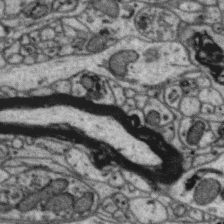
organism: Zebra finch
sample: Brain